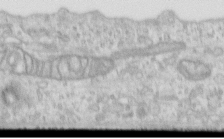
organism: Human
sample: Centriole in RPE cells